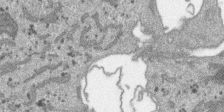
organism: Human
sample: Lung epithelial cells infected with SARS-CoV-2